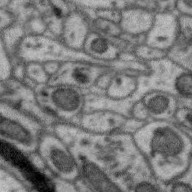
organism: Zebra finch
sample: Brain